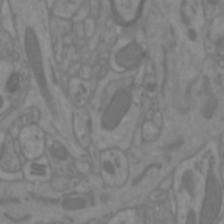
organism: Mouse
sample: Cortical neurons